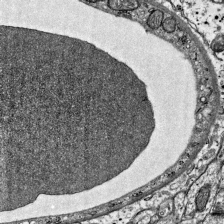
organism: Mouse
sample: Visual Cortex